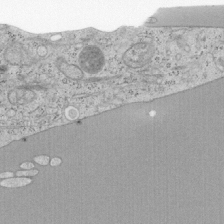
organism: Human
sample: HeLa cells